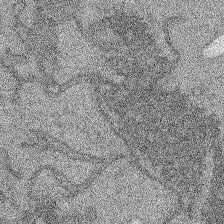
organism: Human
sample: HeLa cells